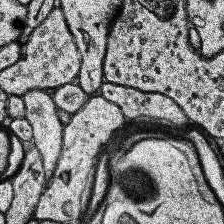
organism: Human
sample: Temporal Lobe